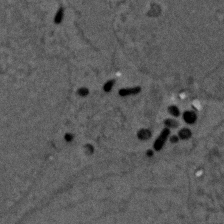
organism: Zebrafish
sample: Zebrafish embryo